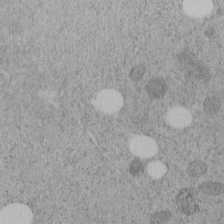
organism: C. elegans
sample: C. elegans embryo early stage